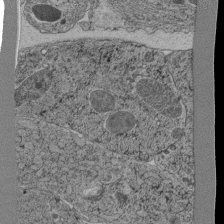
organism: C. elegans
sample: C. elegans pharynx